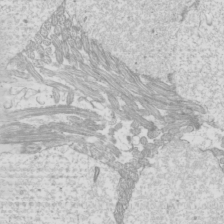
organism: Mouse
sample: Cilia; mouse epididymis